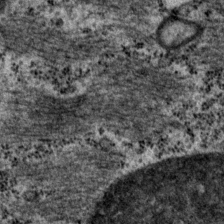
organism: P. pacificus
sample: Pharynx